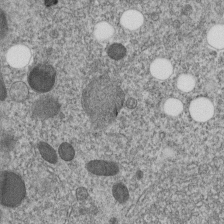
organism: C. elegans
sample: C. elegans embryo early stage